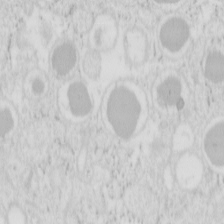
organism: Mouse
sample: Pancreas